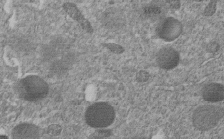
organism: C. elegans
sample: C. elegans embryo early stage